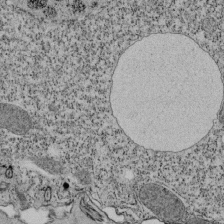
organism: Tetrahymena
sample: Cilia in tetrahymena